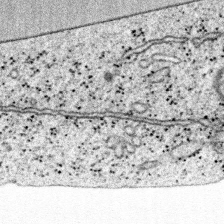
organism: Human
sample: HeLa cells